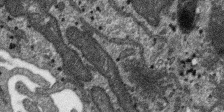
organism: Human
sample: Lung epithelial cells infected with SARS-CoV-2